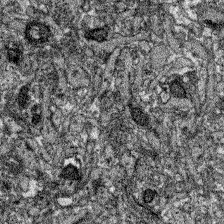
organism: Zebrafish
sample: Larval olfactory bulb